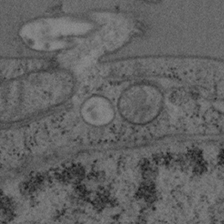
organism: Human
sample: HeLa cells